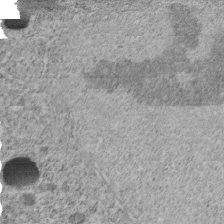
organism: C. elegans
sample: C. elegans embryo early stage